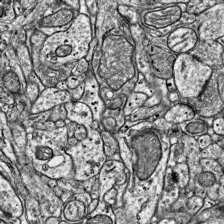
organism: Mouse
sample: Visual Cortex